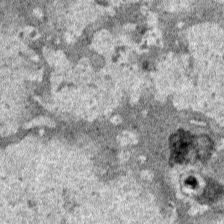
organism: Human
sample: Mitochondria in HCT116 cells